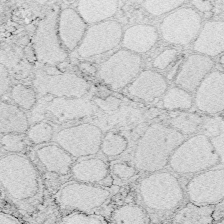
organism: Zebrafish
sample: Whole-Brain